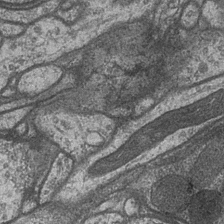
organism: Drosophila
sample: Optic medulla